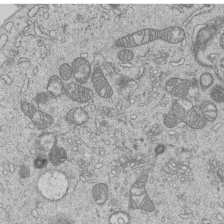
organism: Human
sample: MDA-MB-231 cells